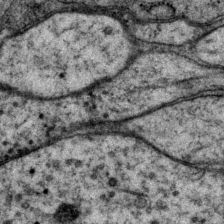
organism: P. pacificus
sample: Pharynx